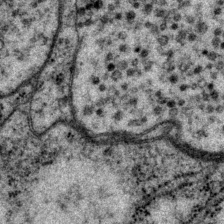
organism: P. pacificus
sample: Pharynx